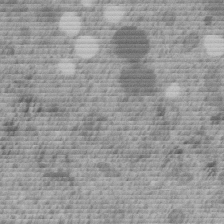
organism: C. elegans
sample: C. elegans embryo early stage